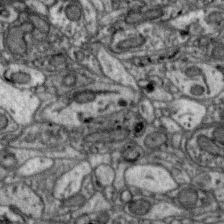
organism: Zebra finch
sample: Brain